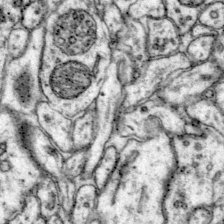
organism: Mouse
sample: Primary visual cortex